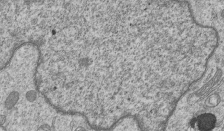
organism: Human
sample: MDA-MB-231 cells